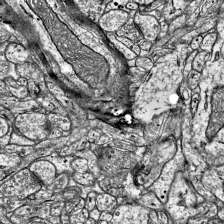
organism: Mouse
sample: Visual Cortex